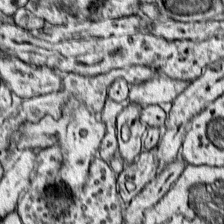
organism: Mouse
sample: Primary visual cortex